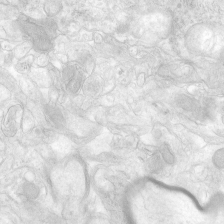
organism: Human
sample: Neocortex